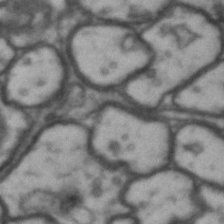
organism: Drosophila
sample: Brain